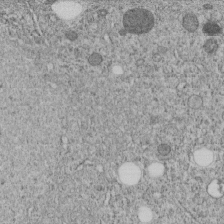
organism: C. elegans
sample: C. elegans embryo early stage